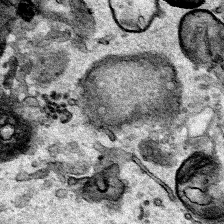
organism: Human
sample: Mitochondria in HCT116 cells